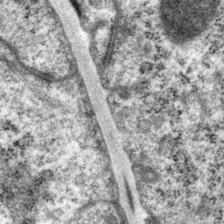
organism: P. pacificus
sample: Pharynx